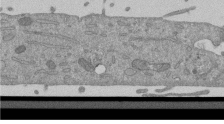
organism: Mouse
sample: ED-1 cell nuclei; centrioles